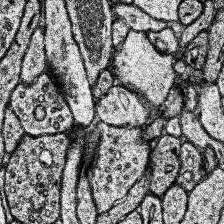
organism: Human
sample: Temporal Lobe